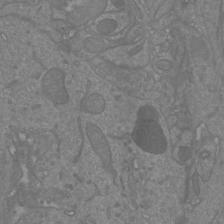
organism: Mouse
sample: Cortical neurons